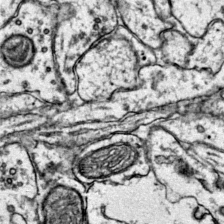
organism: Mouse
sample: Primary visual cortex